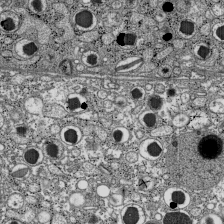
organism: C57BL Mouse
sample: Pancreatic islet